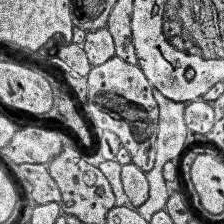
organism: Human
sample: Temporal Lobe